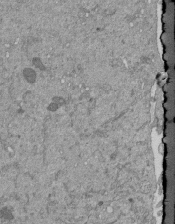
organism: Mouse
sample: ED-1 cell nuclei; centrioles